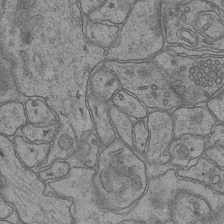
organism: Mouse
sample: CA1 Hippocampus